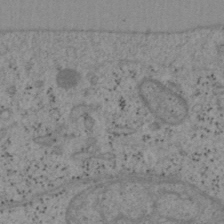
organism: Human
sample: HeLa cells